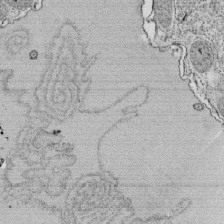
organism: Tetrahymena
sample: Cilia in tetrahymena